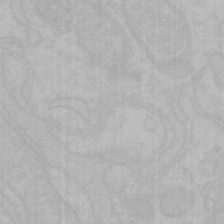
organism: Mouse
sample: Choroid plexus